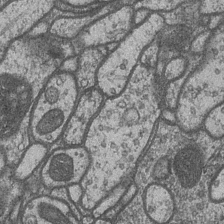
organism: Drosophila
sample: Optic medulla